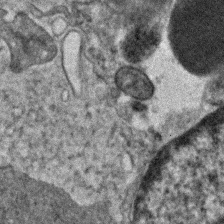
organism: Human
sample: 1205lu cells